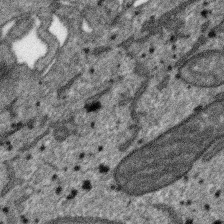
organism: Human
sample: Lung epithelial cells infected with SARS-CoV-2